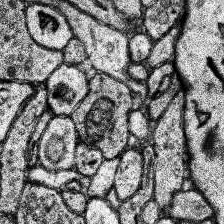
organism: Human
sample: Temporal Lobe